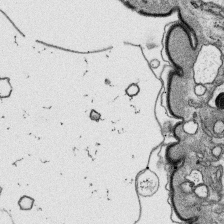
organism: Platynereis dumerilii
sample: Parapodia